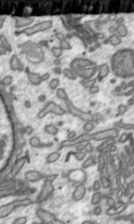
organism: Toxoplasma gondii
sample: Parasites in a vacuole inside a host cell